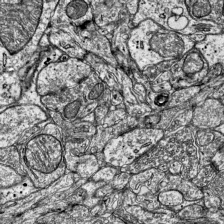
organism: Mouse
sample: Visual Cortex